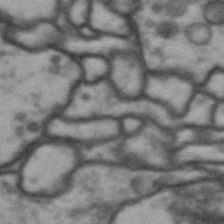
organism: Drosophila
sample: Brain